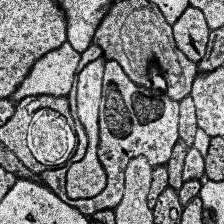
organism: Human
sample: Temporal Lobe